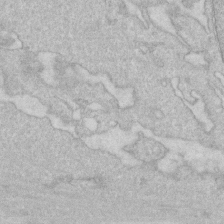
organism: Human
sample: Fibroblast cells